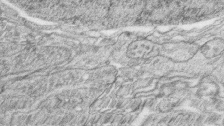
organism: Zebrafish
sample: synaptic ribbons in rod cells and cone cells